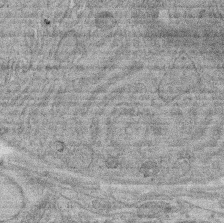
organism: Rat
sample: Salivary granule